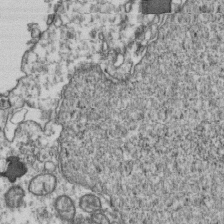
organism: Human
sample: Activated Jurkat CD4+ T cells